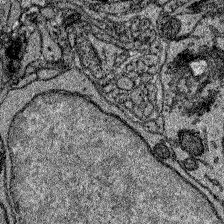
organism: Zebrafish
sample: Larval olfactory bulb